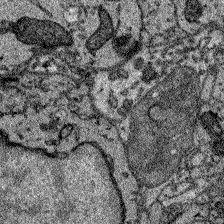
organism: Zebrafish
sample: Larval olfactory bulb